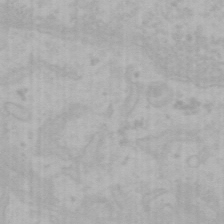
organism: Mouse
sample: Choroid plexus